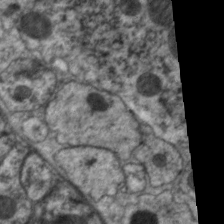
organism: C. elegans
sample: Pharynx